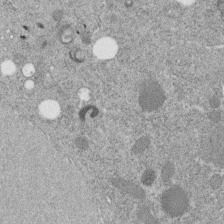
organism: C. elegans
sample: C. elegans embryo early stage